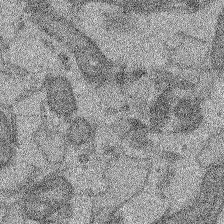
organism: Human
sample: HeLa cells